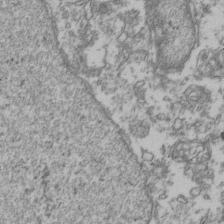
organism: Human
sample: Activated Jurkat CD4+ T cells